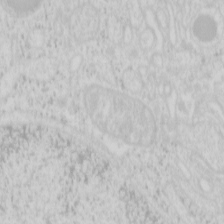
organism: Mouse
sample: Pancreas